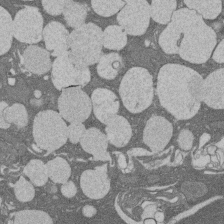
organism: Rat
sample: Salivary granule